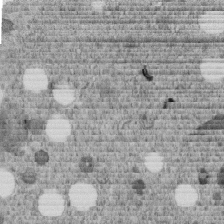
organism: C. elegans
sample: C. elegans embryo early stage